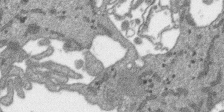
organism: Human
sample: Lung epithelial cells infected with SARS-CoV-2